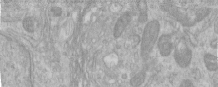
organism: Human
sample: Centriole in RPE cells